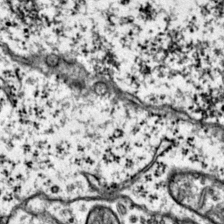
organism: Mouse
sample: Primary visual cortex